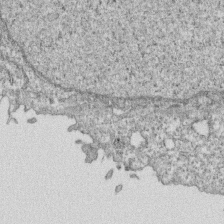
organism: Human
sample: HeLa cell HIV synapse